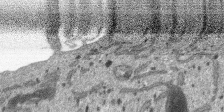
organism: Human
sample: Lung epithelial cells infected with SARS-CoV-2